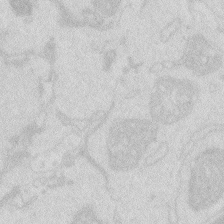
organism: Zebrafish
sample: Macrophage